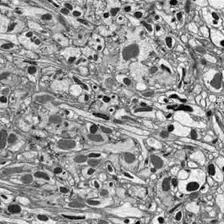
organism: Drosophila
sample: Optic lobe